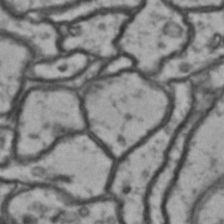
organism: Drosophila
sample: Brain